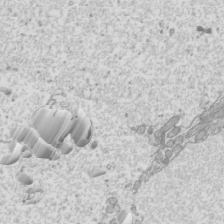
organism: Mouse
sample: Cilia; mouse epididymis